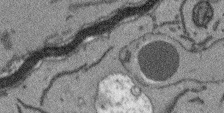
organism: Arabidopsis thaliana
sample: Root tip